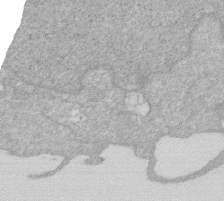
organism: Human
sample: HIV infected U937 cells